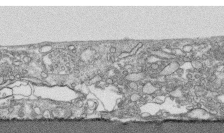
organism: Human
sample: CRL-1474